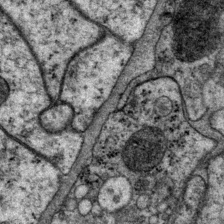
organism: P. pacificus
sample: Pharynx